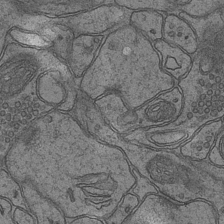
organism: Mouse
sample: CA1 Hippocampus